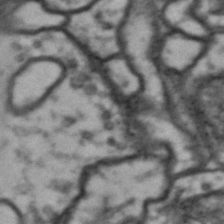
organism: Drosophila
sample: Brain